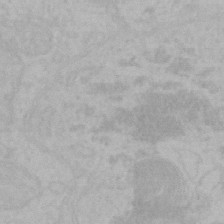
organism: Mouse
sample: Choroid plexus